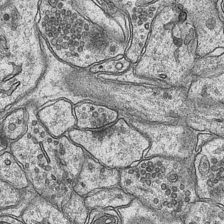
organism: Mouse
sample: CA1 Hippocampus